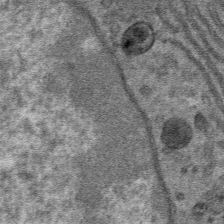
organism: Mouse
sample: Mouse hepatocytes